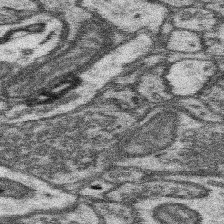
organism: Mouse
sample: Somatosensory cortex neuropil